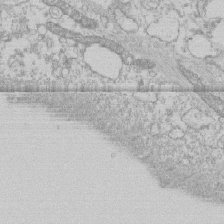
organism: Human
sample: CRL-1474